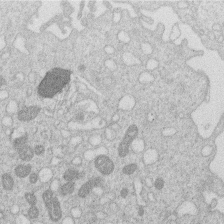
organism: Human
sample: Macrophage cells